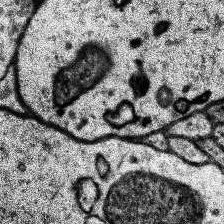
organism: Human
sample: Temporal Lobe